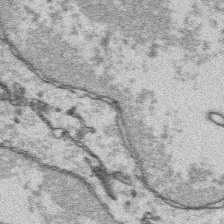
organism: Platynereis dumerilii